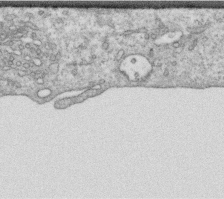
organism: Human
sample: Centriole in RPE cells